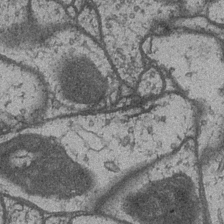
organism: Drosophila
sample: Optic medulla